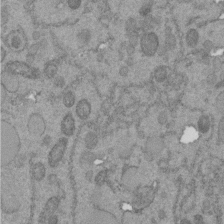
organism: C. elegans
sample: C. elegans embryo early stage